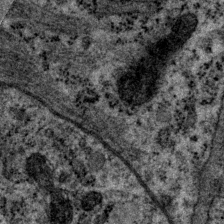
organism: P. pacificus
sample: Pharynx